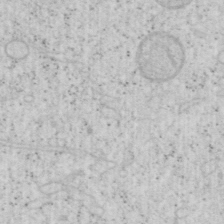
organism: Human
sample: HeLa cells